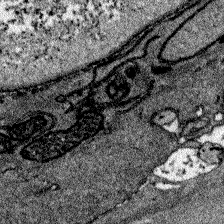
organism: Zebrafish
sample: Larval olfactory bulb